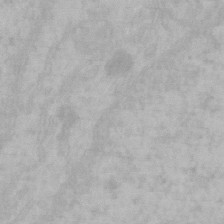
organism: Mouse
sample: Choroid plexus